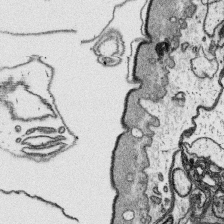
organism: Platynereis dumerilii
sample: Parapodia